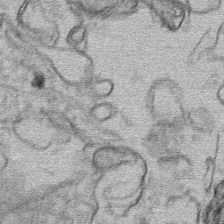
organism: Mouse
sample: Mouse hepatocytes